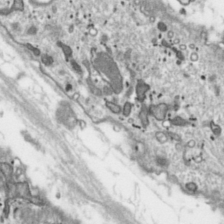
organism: Toxoplasma gondii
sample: Parasites in a vacuole inside a host cell